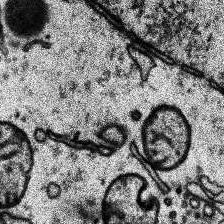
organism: Human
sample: Temporal Lobe